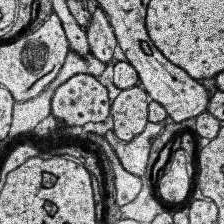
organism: Human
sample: Temporal Lobe